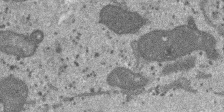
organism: Human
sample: Lung epithelial cells infected with SARS-CoV-2